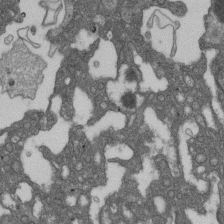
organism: Drosophila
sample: Nephrocyte